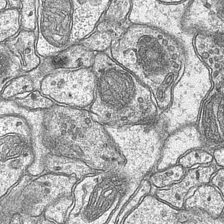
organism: Mouse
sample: CA1 Hippocampus